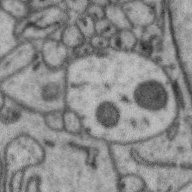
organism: Zebra finch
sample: Brain